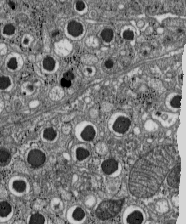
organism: C57BL Mouse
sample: Pancreatic islet